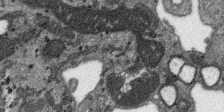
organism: Human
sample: Lung epithelial cells infected with SARS-CoV-2